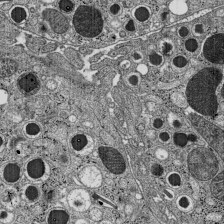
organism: C57BL Mouse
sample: Pancreatic islet